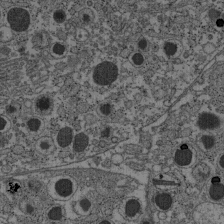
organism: C57BL Mouse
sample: Pancreatic islet